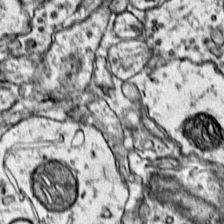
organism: Mouse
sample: Primary visual cortex